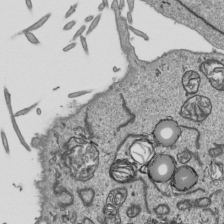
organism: Human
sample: Mitochondria in HCT116 cells